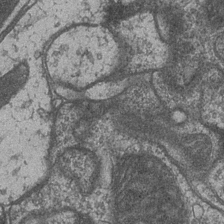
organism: Drosophila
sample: Optic medulla